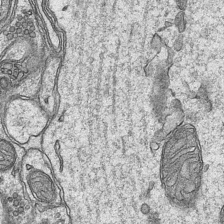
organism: Mouse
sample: CA1 Hippocampus